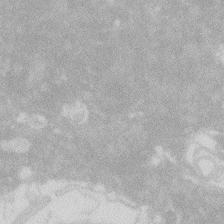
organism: Zebrafish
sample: Macrophage